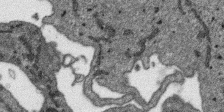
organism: Human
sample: Lung epithelial cells infected with SARS-CoV-2